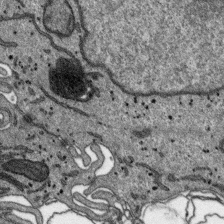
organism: Human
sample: Lung epithelial cells, uninfected (mock) control